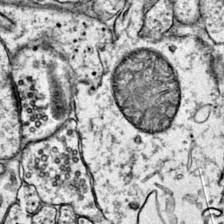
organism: Mouse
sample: Primary visual cortex